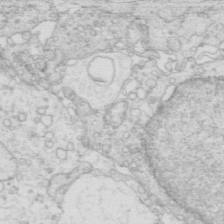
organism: Mouse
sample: Multiciliated cells